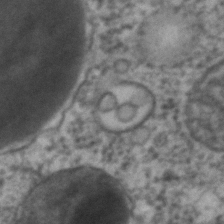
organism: C. elegans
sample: C. elegans embryo